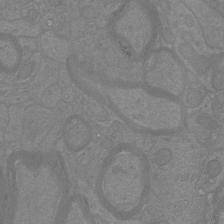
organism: Mouse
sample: Cortical neurons